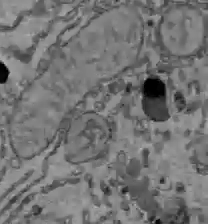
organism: C57BL Mouse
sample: Liver